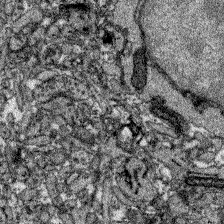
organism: Zebrafish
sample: Larval olfactory bulb